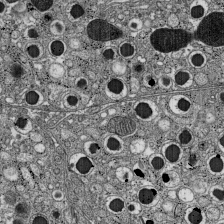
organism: C57BL Mouse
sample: Pancreatic islet